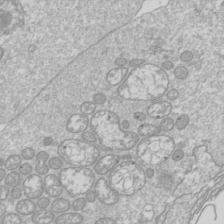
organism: Drosophila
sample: Cell division; meiosis; drosophila spermatocytes